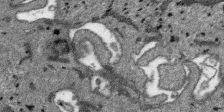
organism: Human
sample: Lung epithelial cells, uninfected (mock) control